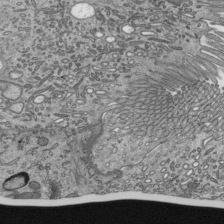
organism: Mouse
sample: Mouse epididymis efferent ductule cilia